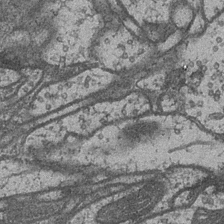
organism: Drosophila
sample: Optic medulla